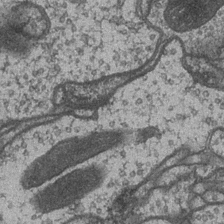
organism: Drosophila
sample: Optic medulla